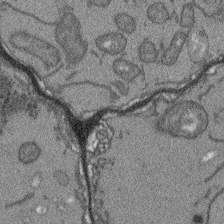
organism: Arabidopsis thaliana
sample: Root tip